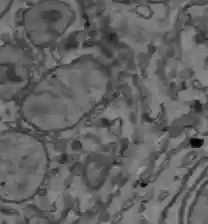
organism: C57BL Mouse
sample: Liver